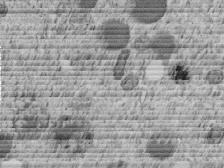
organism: C. elegans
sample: C. elegans embryo early stage